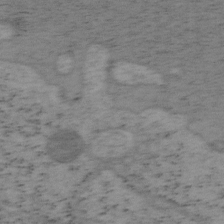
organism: Mouse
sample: OT-I killer T cells with ID8 ovarian cancer cells